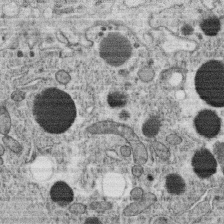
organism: C. elegans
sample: C. elegans oocyte; sperm cells